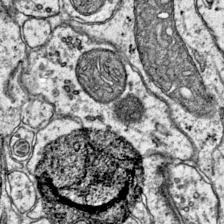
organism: Mouse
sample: Primary visual cortex